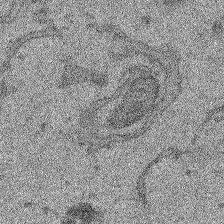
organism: Human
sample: HeLa cells